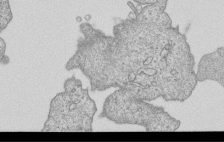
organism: Human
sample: MDA-MB-231 cells